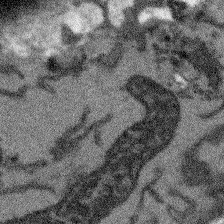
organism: Arabidopsis thaliana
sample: Root tip